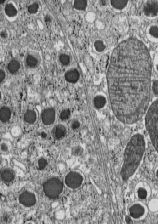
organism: C57BL Mouse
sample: Pancreatic islet